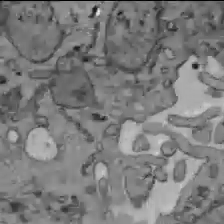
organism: C57BL Mouse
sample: Liver